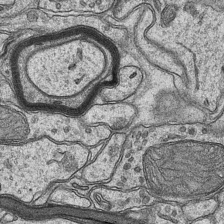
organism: Mouse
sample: CA1 Hippocampus